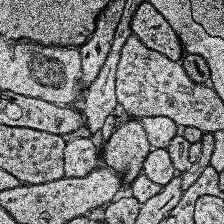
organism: Human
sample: Temporal Lobe